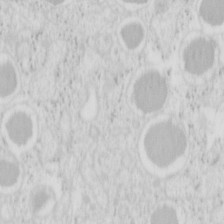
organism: Mouse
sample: Pancreas